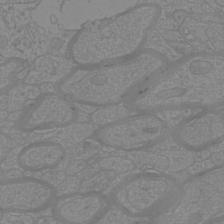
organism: Mouse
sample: Cortical neurons